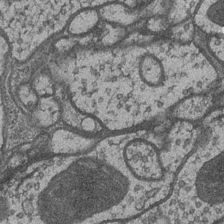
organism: Drosophila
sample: Optic medulla